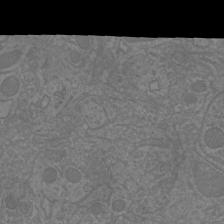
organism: Mouse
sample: Cortical neurons